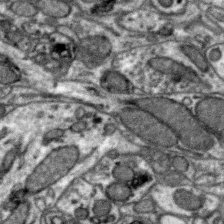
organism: Zebra finch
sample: Brain